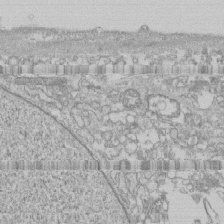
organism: Human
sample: CRL-1474